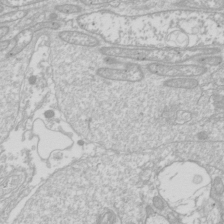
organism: Drosophila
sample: Cell division; meiosis; drosophila spermatocytes